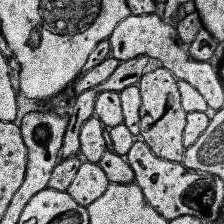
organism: Human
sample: Temporal Lobe